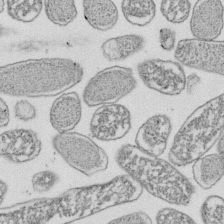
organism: E. coli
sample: Bacterial nucleoid